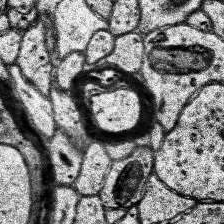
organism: Human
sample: Temporal Lobe